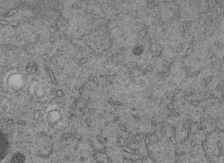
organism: C. elegans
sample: C. elegans embryo early stage